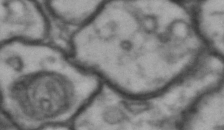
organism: Drosophila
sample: Brain